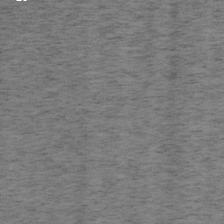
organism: Mouse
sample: OT-I killer T cells with ID8 ovarian cancer cells